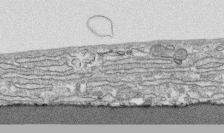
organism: Human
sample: CRL-1474